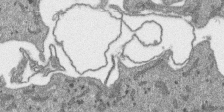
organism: Human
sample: Lung epithelial cells infected with SARS-CoV-2